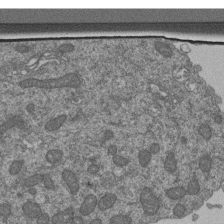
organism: Human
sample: Retinal organoid Rod and Cone cells